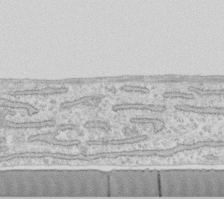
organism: Human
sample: Fibroblast cells